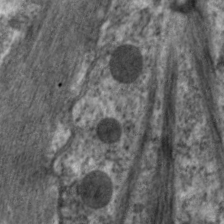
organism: C. elegans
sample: Pharynx